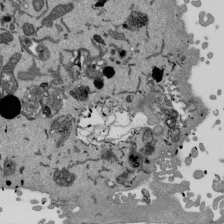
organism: Mouse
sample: ED-1 cell nuclei; centrioles